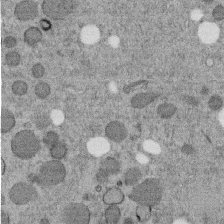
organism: C. elegans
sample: C. elegans embryo early stage